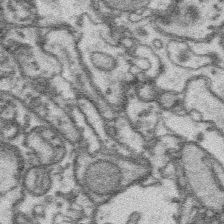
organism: Platynereis dumerilii